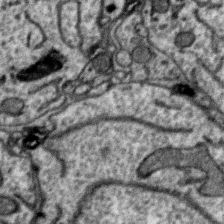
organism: Zebra finch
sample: Brain